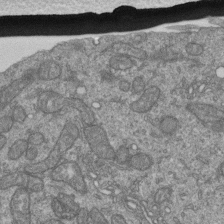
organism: Human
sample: Retinal organoid Rod and Cone cells